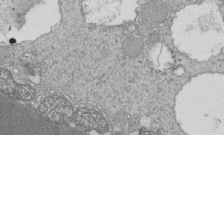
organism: Tetrahymena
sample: Cilia in tetrahymena